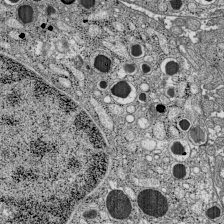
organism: C57BL Mouse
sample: Pancreatic islet